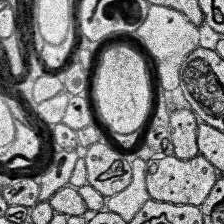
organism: Human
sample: Temporal Lobe